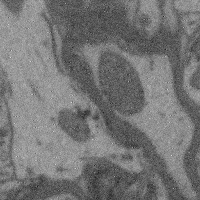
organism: Mouse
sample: Cerebral cortex